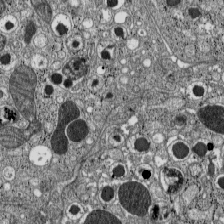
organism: C57BL Mouse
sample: Pancreatic islet